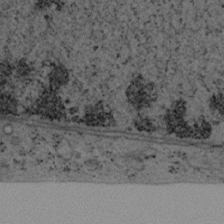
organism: Human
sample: HeLa cells